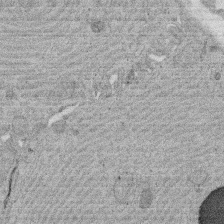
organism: Rat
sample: Salivary granule